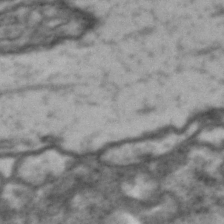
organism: Drosophila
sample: Brain